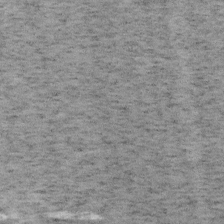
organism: Mouse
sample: OT-I killer T cells with ID8 ovarian cancer cells